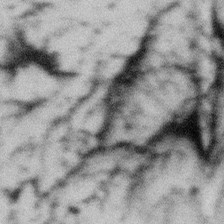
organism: Gemmata obscuriglobus